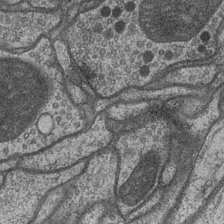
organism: Drosophila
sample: Optic medulla